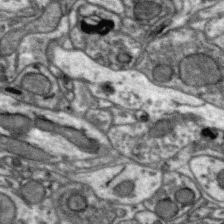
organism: Zebra finch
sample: Brain